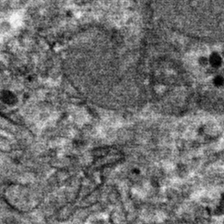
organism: Mouse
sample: Mouse hepatocytes